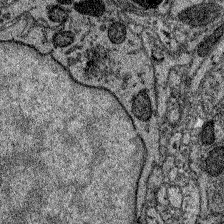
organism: Zebrafish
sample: Larval olfactory bulb